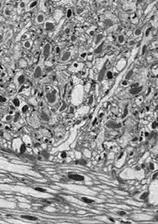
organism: Drosophila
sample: Optic lobe